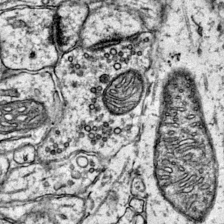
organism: Mouse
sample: Primary visual cortex